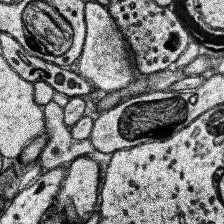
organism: Human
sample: Temporal Lobe